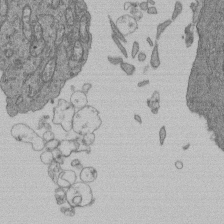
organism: Human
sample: Retinal organoid Rod and Cone cells